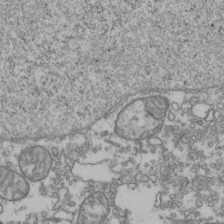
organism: Human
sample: Activated Jurkat CD4+ T cells